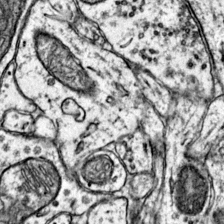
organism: Mouse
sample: Primary visual cortex